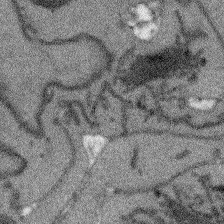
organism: Arabidopsis thaliana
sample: Root tip